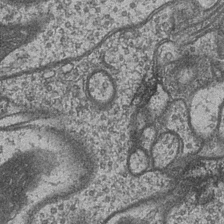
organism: Drosophila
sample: Optic medulla